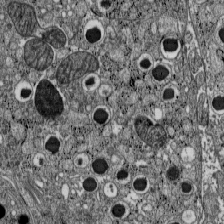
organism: C57BL Mouse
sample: Pancreatic islet